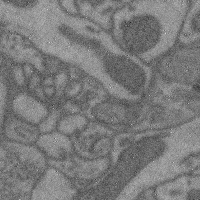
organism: Mouse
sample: Cerebral cortex